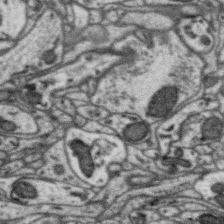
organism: Zebra finch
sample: Brain